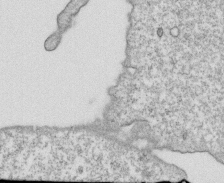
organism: Mouse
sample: Activated OT-1 CD8+ T cells